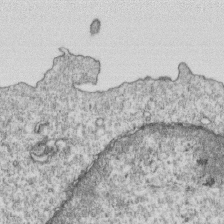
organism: Mouse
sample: Activated OT-1 CD8+ T cells